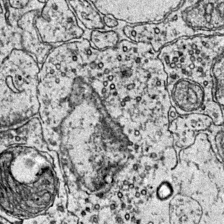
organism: Mouse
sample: Primary visual cortex